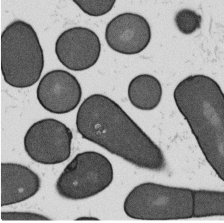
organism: B. subtilis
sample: Bacterial spore